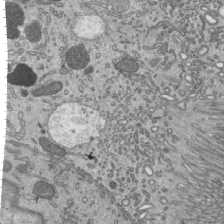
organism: Mouse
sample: Mouse epididymis efferent ductule cilia